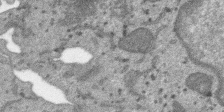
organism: Human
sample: Lung epithelial cells infected with SARS-CoV-2